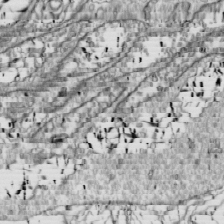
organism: Drosophila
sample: Cell division; meiosis; drosophila spermatocytes